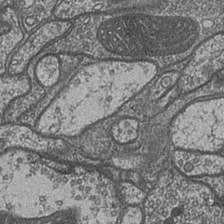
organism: Drosophila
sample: Optic medulla